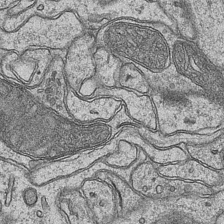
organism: Mouse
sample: CA1 Hippocampus